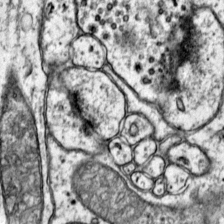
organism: Mouse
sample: Primary visual cortex